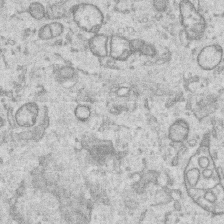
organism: Human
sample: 1205lu cells